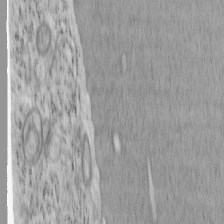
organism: Human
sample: HeLa cells